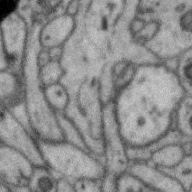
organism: Zebra finch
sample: Brain